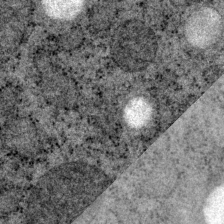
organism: P. pacificus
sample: Pharynx